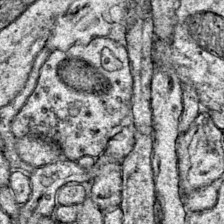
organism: Mouse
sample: Primary visual cortex